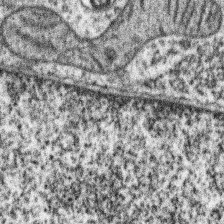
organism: Human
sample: HeLa cells